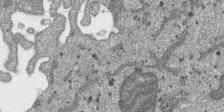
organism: Human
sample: Lung epithelial cells infected with SARS-CoV-2